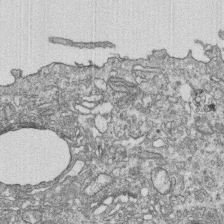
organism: Human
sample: HeLa cell HIV synapse